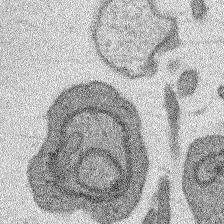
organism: Human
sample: HeLa cells